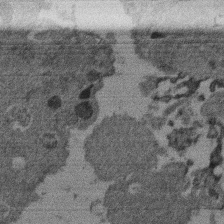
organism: Mouse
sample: Dividing mouse embryo 1 cell stage